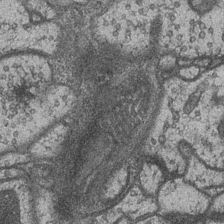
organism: Drosophila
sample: Optic medulla